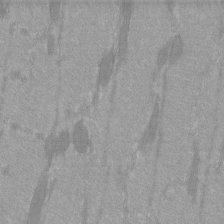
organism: C57BL Mouse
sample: Tibialis anterior muscle cell